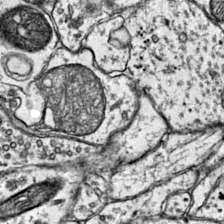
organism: Mouse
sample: Primary visual cortex